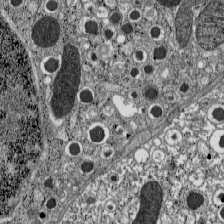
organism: C57BL Mouse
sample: Pancreatic islet